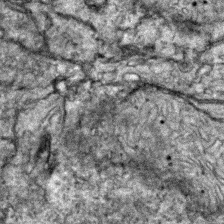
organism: Zebrafish